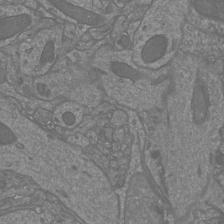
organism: Mouse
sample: Cortical neurons